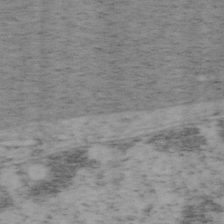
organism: Mouse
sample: OT-I killer T cells with ID8 ovarian cancer cells